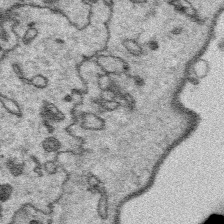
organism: Platynereis dumerilii